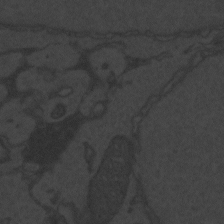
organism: Zebrafish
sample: Macrophage infected with Toxoplasma gondii